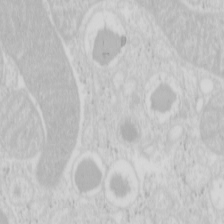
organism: Mouse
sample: Pancreas